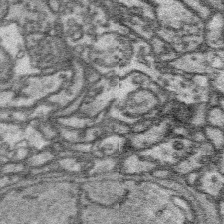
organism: Platynereis dumerilii